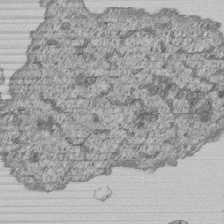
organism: Human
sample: MDA-MB-231 cells